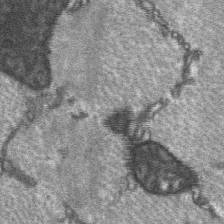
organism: C57BL Mouse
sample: Soleus